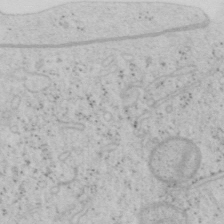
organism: Human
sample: HeLa cells